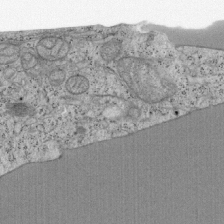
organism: Human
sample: HeLa cells